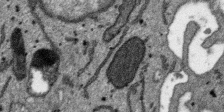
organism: Human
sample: Lung epithelial cells, uninfected (mock) control